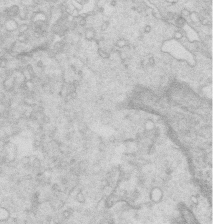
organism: Mouse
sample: Multiciliated cells